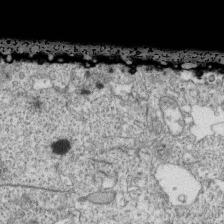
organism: Human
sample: HeLa cell HIV synapse